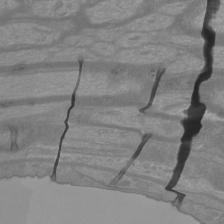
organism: Mouse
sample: Cortical neurons